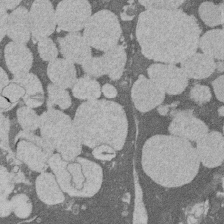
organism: Rat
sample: Salivary granule